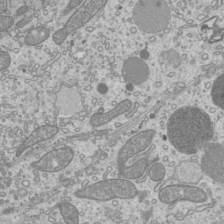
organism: Mouse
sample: Cilia; mouse epididymis